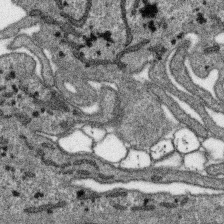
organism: Human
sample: Lung epithelial cells infected with SARS-CoV-2